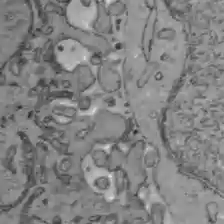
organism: C57BL Mouse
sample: Liver